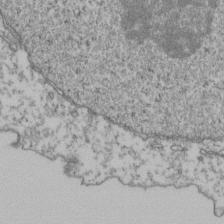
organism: Human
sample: Activated Jurkat CD4+ T cells